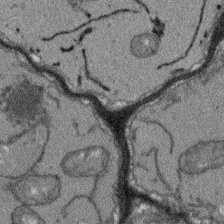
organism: Arabidopsis thaliana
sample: Root tip